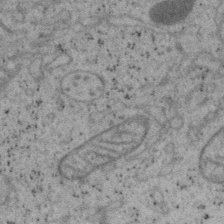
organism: Human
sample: HeLa cells